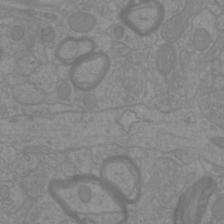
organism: Mouse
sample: Cortical neurons